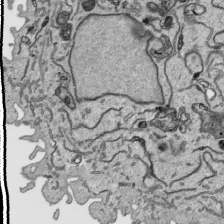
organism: Human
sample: Mitochondria in HCT116 cells